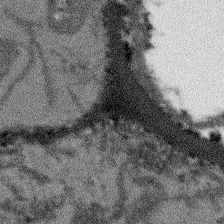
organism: Arabidopsis thaliana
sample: Root tip